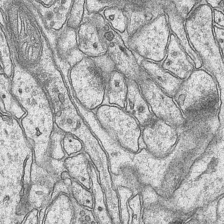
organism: Mouse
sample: CA1 Hippocampus